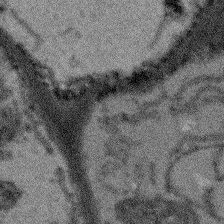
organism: Arabidopsis thaliana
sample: Root tip